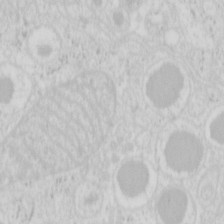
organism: Mouse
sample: Pancreas